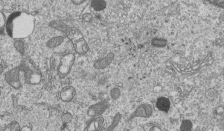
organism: Human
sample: MDA-MB-231 cells